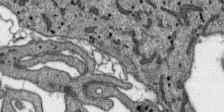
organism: Human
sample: Lung epithelial cells, uninfected (mock) control